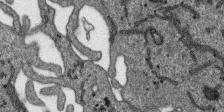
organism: Human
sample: Lung epithelial cells infected with SARS-CoV-2